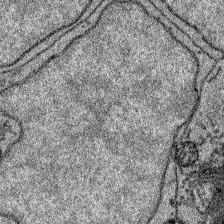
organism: Zebrafish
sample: Larval olfactory bulb